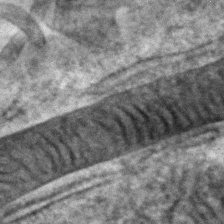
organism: Zebrafish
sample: Zebrafish embryo